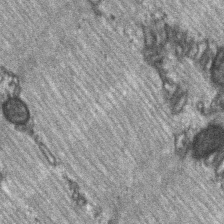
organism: C57BL Mouse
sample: Soleus